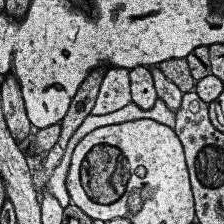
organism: Human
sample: Temporal Lobe